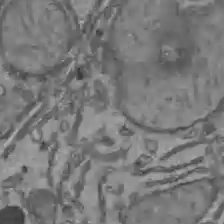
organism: C57BL Mouse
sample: Liver